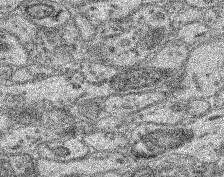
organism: Mouse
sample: Retina